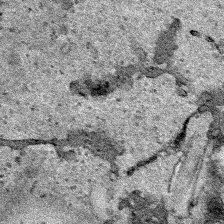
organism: Human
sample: Mitochondria in HCT116 cells